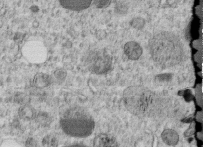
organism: C. elegans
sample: C. elegans embryo early stage